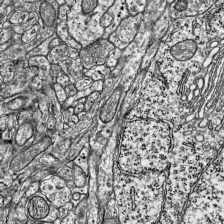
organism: Mouse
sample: Visual Cortex